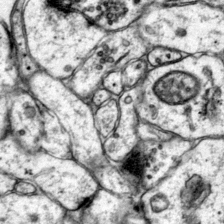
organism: Mouse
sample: Primary visual cortex